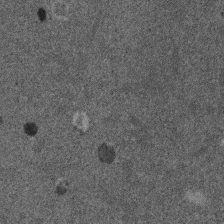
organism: Mouse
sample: Dividing mouse embryo 1 cell stage